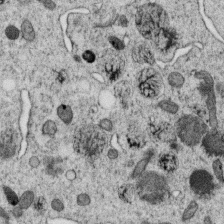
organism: C. elegans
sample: C. elegans oocyte; sperm cells